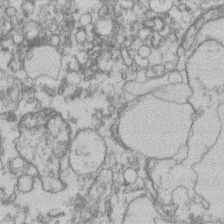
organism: Mouse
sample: T cell stromal cell synapse